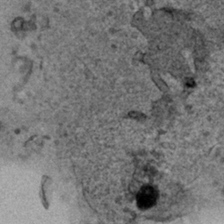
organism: Human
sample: Mitochondria in HCT116 cells